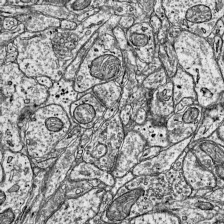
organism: Mouse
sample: Visual Cortex